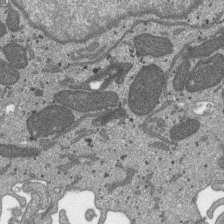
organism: Human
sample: Lung epithelial cells infected with SARS-CoV-2